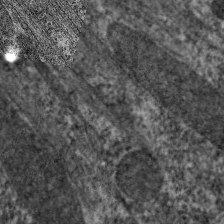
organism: C. elegans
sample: Pharynx